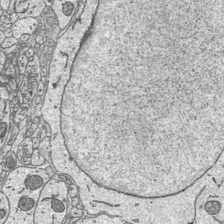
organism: Mouse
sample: Suprachiasmatic nucleus